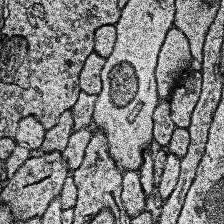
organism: Human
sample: Temporal Lobe